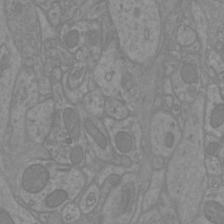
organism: Mouse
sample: Cortical neurons